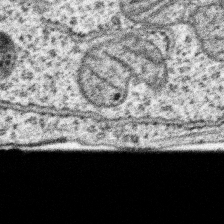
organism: Human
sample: HeLa cells